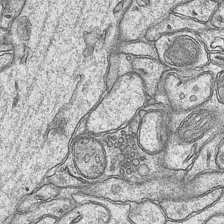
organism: Mouse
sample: CA1 Hippocampus